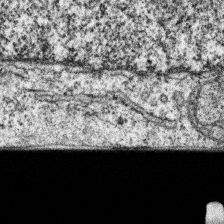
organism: Human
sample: HeLa cells